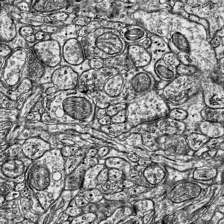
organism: Mouse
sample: Visual Cortex